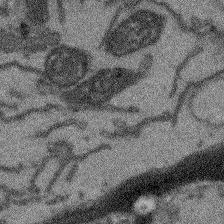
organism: Arabidopsis thaliana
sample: Root tip